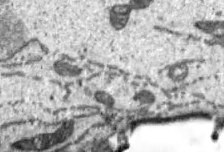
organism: Human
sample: HeLa cells